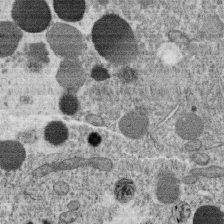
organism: C. elegans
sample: C. elegans oocyte; sperm cells